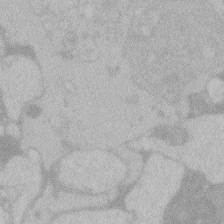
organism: Zebrafish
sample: Macrophage infected with Toxoplasma gondii